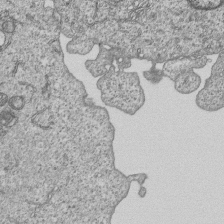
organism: Human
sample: MDA-MB-231 cells